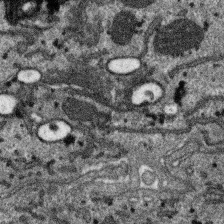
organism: Human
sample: Lung epithelial cells infected with SARS-CoV-2